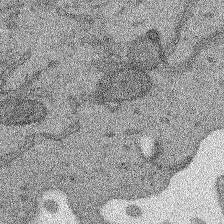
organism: Human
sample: HeLa cells